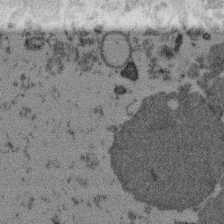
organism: Mouse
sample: Dividing mouse embryo 1 cell stage